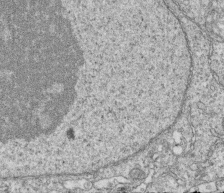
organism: Human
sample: HeLa cell HIV synapse